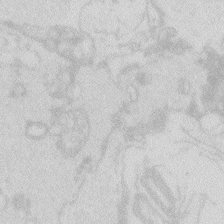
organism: Zebrafish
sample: Macrophage